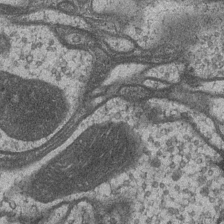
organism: Drosophila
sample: Optic medulla